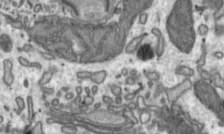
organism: Toxoplasma gondii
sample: Parasites in a vacuole inside a host cell